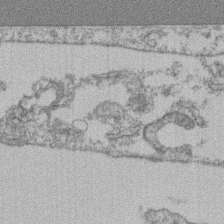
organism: Mouse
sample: T cell stromal cell synapse